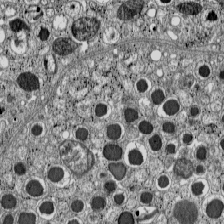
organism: C57BL Mouse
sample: Pancreatic islet